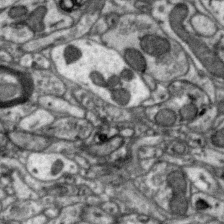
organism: Zebra finch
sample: Brain